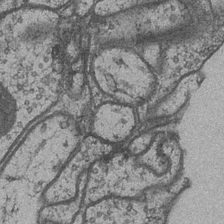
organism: Drosophila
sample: Optic medulla